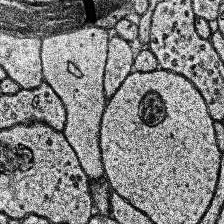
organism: Human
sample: Temporal Lobe